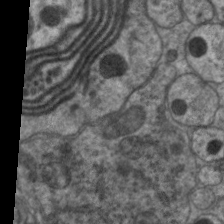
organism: C. elegans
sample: Pharynx